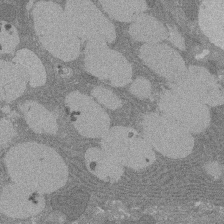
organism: Rat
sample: Salivary granule